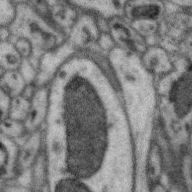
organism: Zebra finch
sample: Brain